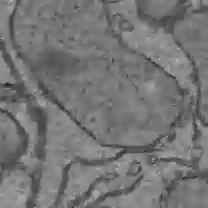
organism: C57BL Mouse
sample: Liver